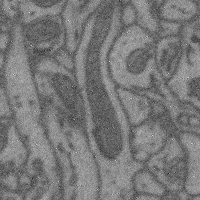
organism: Mouse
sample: Cerebral cortex